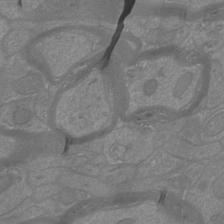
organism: Mouse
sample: Cortical neurons